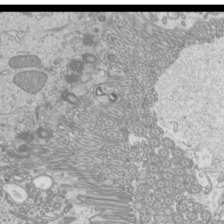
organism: Mouse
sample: Cilia; mouse epididymis